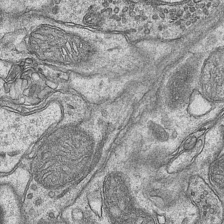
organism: Mouse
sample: CA1 Hippocampus